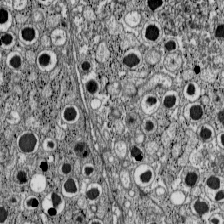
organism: C57BL Mouse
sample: Pancreatic islet